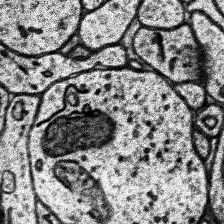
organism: Human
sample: Temporal Lobe